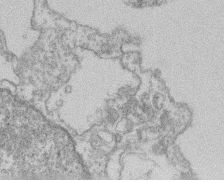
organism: Mouse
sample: T cell stromal cell synapse